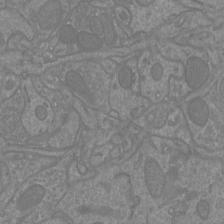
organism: Mouse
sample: Cortical neurons